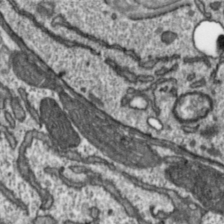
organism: Toxoplasma gondii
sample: Parasites in a vacuole inside a host cell